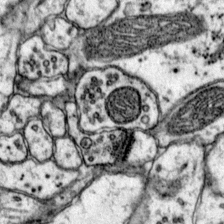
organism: Mouse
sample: Primary visual cortex